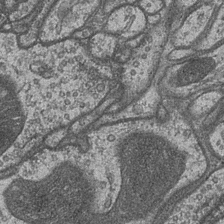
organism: Drosophila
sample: Optic medulla